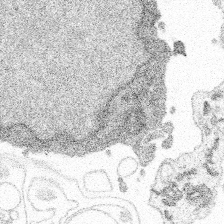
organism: Spongilla lacustris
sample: Multiple